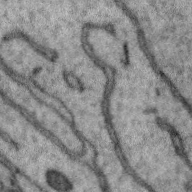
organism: Zebra finch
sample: Brain